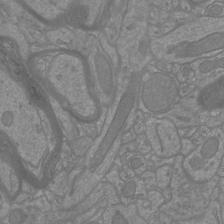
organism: Mouse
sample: Cortical neurons